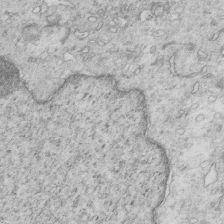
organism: Mouse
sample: Multiciliated cells